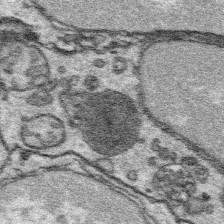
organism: Platynereis dumerilii